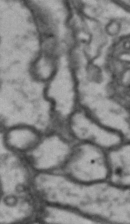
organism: Drosophila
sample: Brain